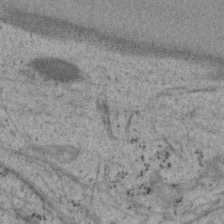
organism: Human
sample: HeLa cells